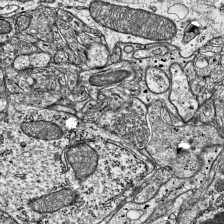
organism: Mouse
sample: Visual Cortex